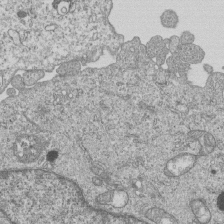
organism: Human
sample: MDA-MB-231 cells